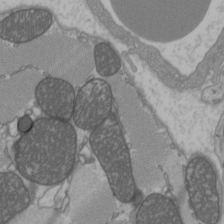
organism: C57BL Mouse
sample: Heart